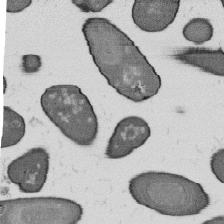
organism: B. subtilis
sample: Bacterial spore